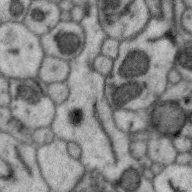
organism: Zebra finch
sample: Brain